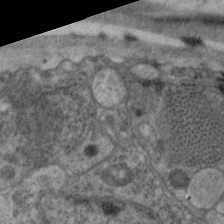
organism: C. elegans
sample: Pharynx